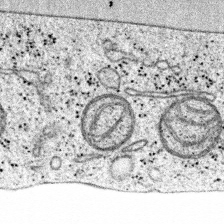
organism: Human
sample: HeLa cells